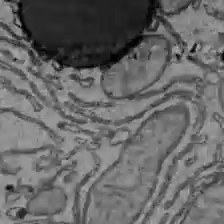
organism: C57BL Mouse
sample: Liver